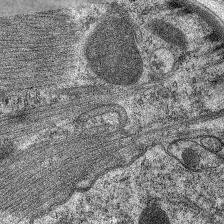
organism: C. elegans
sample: Pharynx